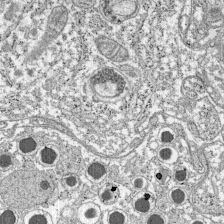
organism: C57BL Mouse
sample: Pancreatic islet